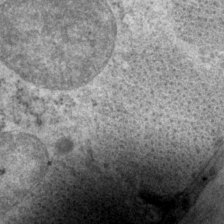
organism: P. pacificus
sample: Pharynx